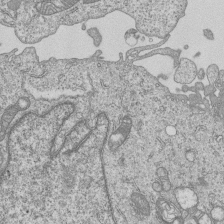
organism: Human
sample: MDA-MB-231 cells